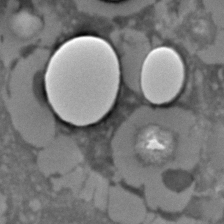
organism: C. elegans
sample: C. elegans embryo